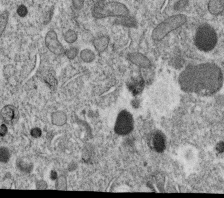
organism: C. elegans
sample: C. elegans oocyte; sperm cells